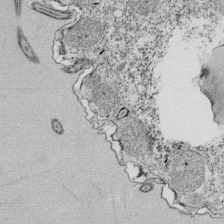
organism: Tetrahymena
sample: Cilia in tetrahymena